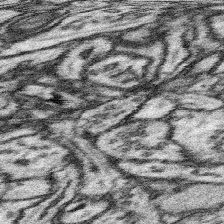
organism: Mouse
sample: Somatosensory cortex neuropil